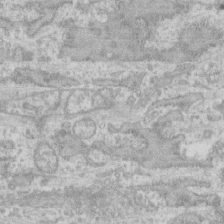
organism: Human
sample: CRL-1474